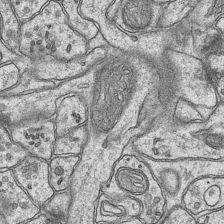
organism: Mouse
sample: CA1 Hippocampus